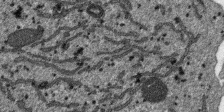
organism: Human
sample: Lung epithelial cells infected with SARS-CoV-2